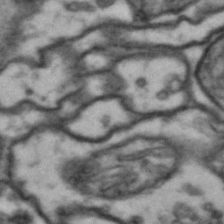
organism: Drosophila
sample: Brain